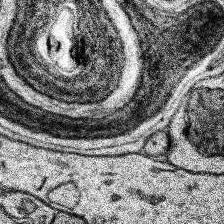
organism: Human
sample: Temporal Lobe